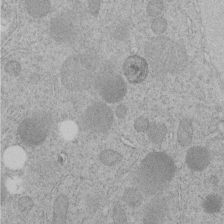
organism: C. elegans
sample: C. elegans embryo early stage